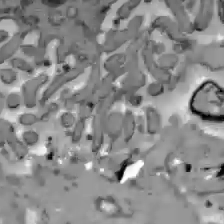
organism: C57BL Mouse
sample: Liver